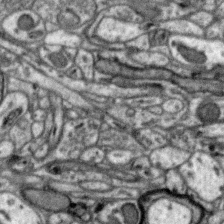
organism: Zebra finch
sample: Brain